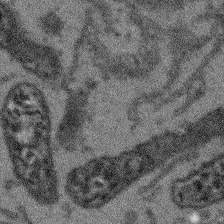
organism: Arabidopsis thaliana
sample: Root tip